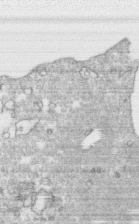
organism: Human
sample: CRL-1474